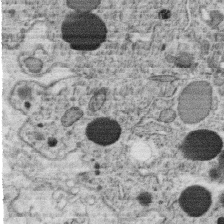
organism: C. elegans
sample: C. elegans oocyte; sperm cells